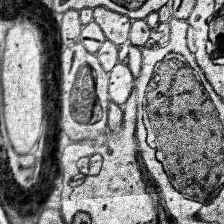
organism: Human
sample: Temporal Lobe